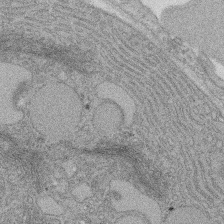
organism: Rat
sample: Salivary granule